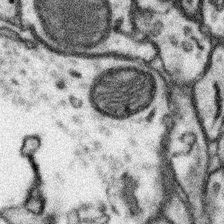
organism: Mouse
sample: Somatosensory cortex neuropil